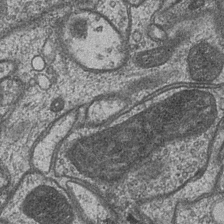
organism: Drosophila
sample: Optic medulla